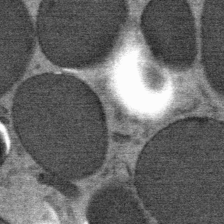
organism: Mouse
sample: Mouse Salivary gland